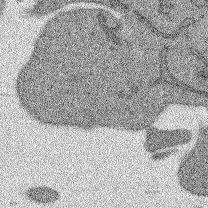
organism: Human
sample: HeLa cells